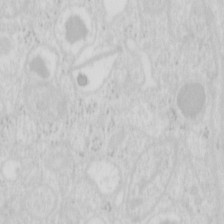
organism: Mouse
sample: Pancreas